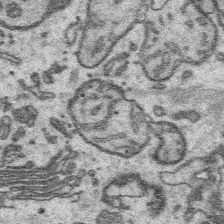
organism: Platynereis dumerilii